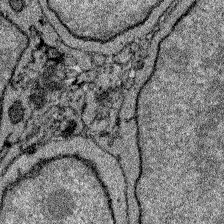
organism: Zebrafish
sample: Larval olfactory bulb